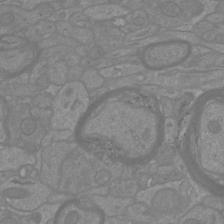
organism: Mouse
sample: Cortical neurons